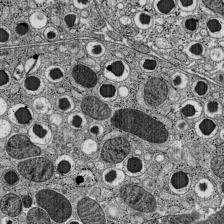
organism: C57BL Mouse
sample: Pancreatic islet